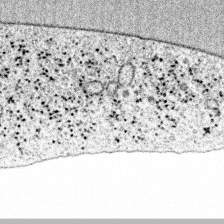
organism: Human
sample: HeLa cells